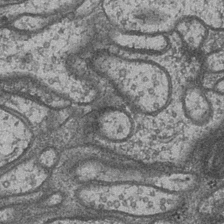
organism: Drosophila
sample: Optic medulla